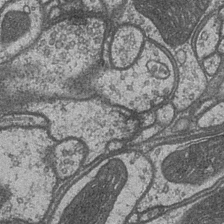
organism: Drosophila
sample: Optic medulla